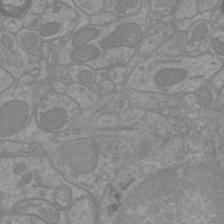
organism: Mouse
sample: Cortical neurons